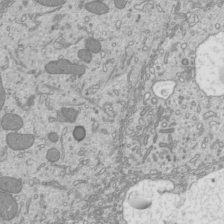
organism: Mouse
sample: Cilia; mouse epididymis